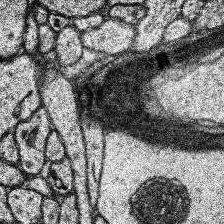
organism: Human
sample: Temporal Lobe